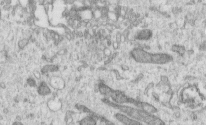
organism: Human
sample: Centriole in RPE cells